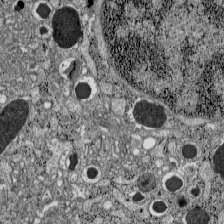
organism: C57BL Mouse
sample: Pancreatic islet